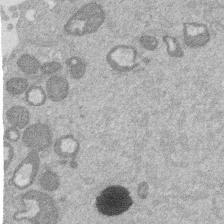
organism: Mouse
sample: Dividing mouse embryo 1 cell stage